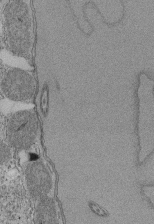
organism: Tetrahymena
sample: Cilia in tetrahymena